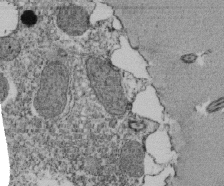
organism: Tetrahymena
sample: Cilia in tetrahymena